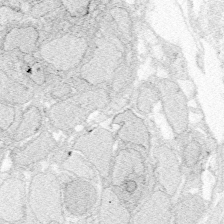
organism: Zebrafish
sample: Whole-Brain